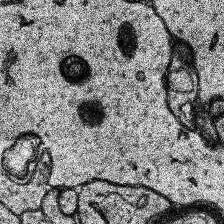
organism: Human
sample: Temporal Lobe